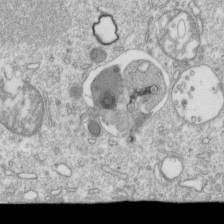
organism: Mouse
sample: Activated OT-1 CD8+ T cells